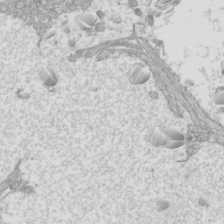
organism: Mouse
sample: Cilia; mouse epididymis